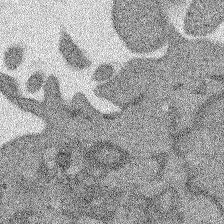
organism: Human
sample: HeLa cells